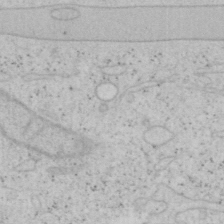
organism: Human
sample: HeLa cells